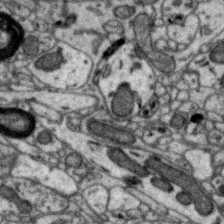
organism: Zebra finch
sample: Brain